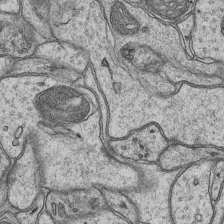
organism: Mouse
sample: CA1 Hippocampus